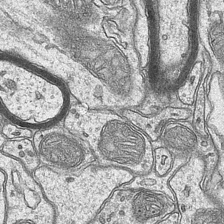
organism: Mouse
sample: CA1 Hippocampus